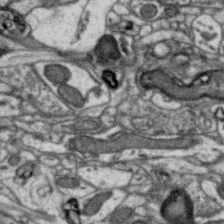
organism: Zebra finch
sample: Brain